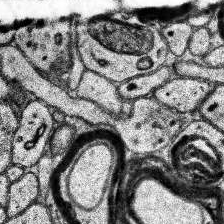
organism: Human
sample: Temporal Lobe